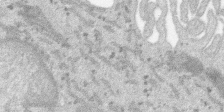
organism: Human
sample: Lung epithelial cells infected with SARS-CoV-2